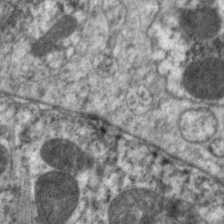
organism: C. elegans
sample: Pharynx